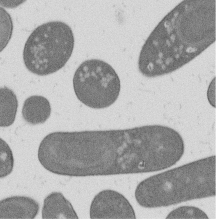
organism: B. subtilis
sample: Bacterial spore